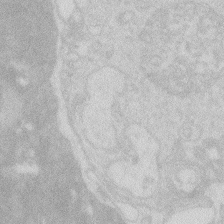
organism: Zebrafish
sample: Macrophage